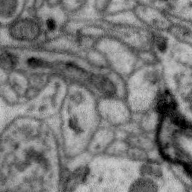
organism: Zebra finch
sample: Brain